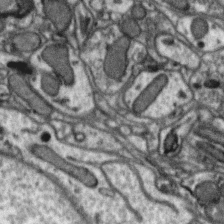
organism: Zebra finch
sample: Brain